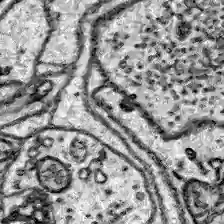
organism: Zebrafish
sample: Brain